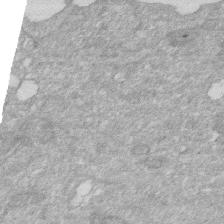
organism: Human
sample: HIV infected U937 cells